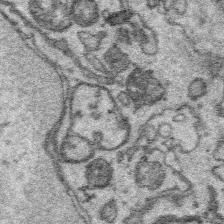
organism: Platynereis dumerilii